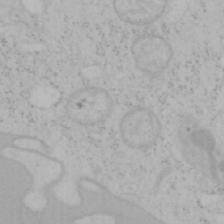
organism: Mouse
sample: OT-I killer T cells with ID8 ovarian cancer cells